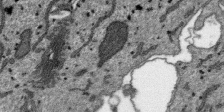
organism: Human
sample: Lung epithelial cells, uninfected (mock) control